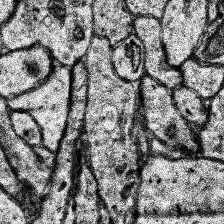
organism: Human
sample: Temporal Lobe